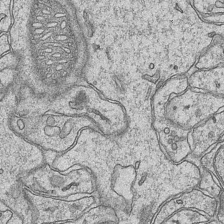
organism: Mouse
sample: CA1 Hippocampus